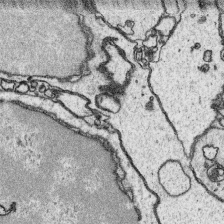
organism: Platynereis dumerilii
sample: Parapodia